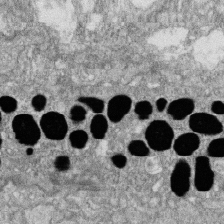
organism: Zebrafish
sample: Cilia; retinal pigment epithelium